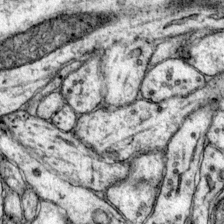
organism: Mouse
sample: Primary visual cortex